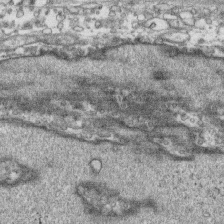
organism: Human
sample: CRL-1474